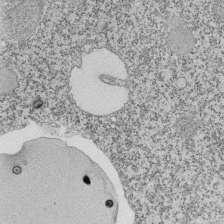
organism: Tetrahymena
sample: Cilia in tetrahymena